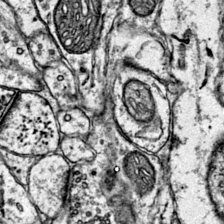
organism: Mouse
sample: Primary visual cortex